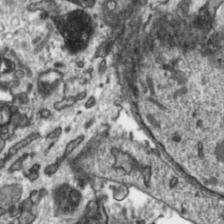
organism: Toxoplasma gondii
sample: Parasites in a vacuole inside a host cell